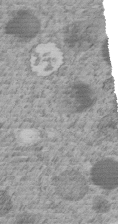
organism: C. elegans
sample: C. elegans embryo early stage